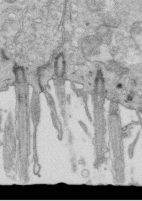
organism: Mouse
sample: Multiciliated cells